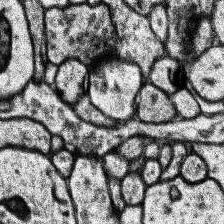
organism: Human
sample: Temporal Lobe